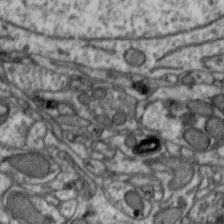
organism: Zebra finch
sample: Brain